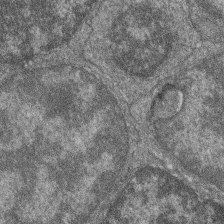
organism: Zebrafish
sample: Cilia; retinal pigment epithelium